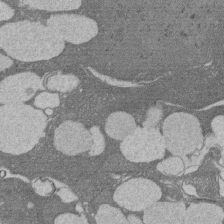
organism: Rat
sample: Salivary granule